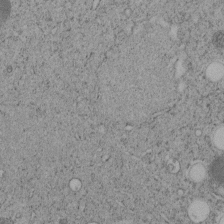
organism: C. elegans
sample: C. elegans embryo early stage